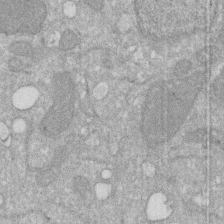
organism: Human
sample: HIV infected U937 cells